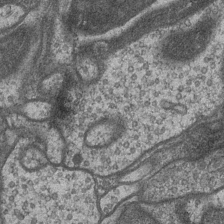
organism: Drosophila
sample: Optic medulla